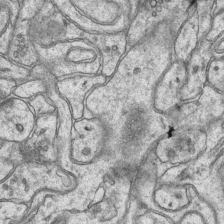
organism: Mouse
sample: CA1 Hippocampus